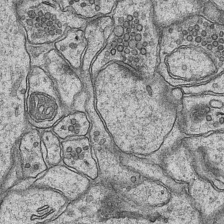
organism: Mouse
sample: CA1 Hippocampus